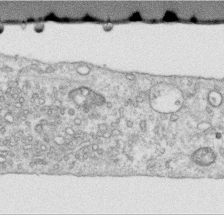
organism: Human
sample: Centriole in RPE cells